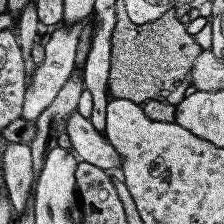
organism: Human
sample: Temporal Lobe